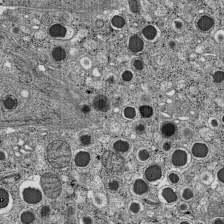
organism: C57BL Mouse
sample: Pancreatic islet